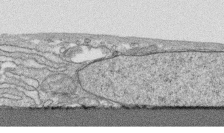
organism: Human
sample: CRL-1474